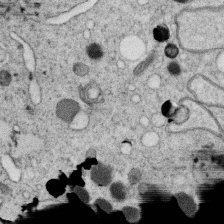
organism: C. elegans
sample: C. elegans oocyte; sperm cells